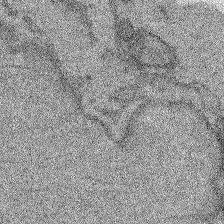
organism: Human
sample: HeLa cells